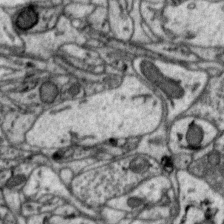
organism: Zebra finch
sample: Brain